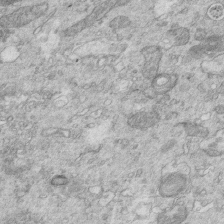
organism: Mouse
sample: Multiciliated cells